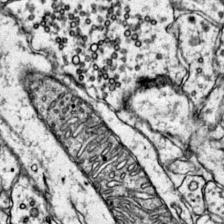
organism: Mouse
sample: Primary visual cortex